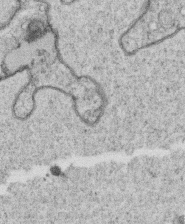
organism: C. elegans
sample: C. elegans oocyte; sperm cells